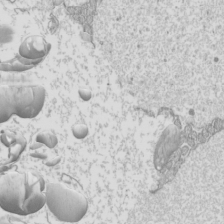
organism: Mouse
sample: Cilia; mouse epididymis